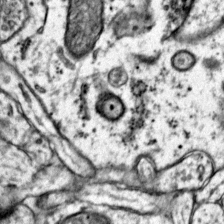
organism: Mouse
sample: Primary visual cortex